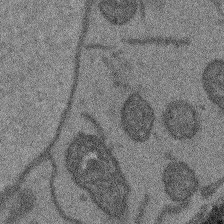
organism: Arabidopsis thaliana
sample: Root tip